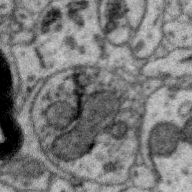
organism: Zebra finch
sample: Brain